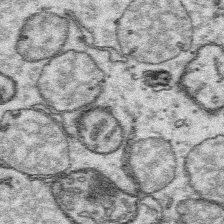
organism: Platynereis dumerilii